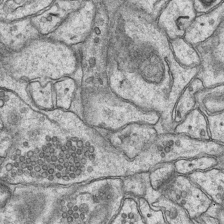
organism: Mouse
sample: CA1 Hippocampus